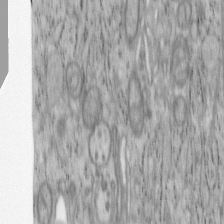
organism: Human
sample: HeLa cells